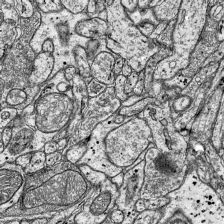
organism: Mouse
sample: Visual Cortex